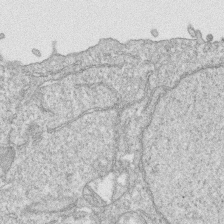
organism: Human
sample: HeLa cell HIV synapse